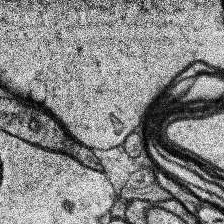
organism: Human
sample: Temporal Lobe